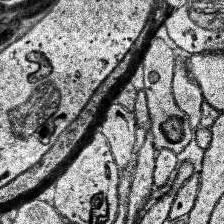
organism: Human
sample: Temporal Lobe